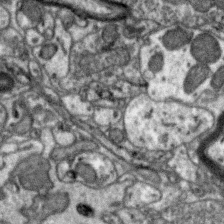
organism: Zebra finch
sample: Brain